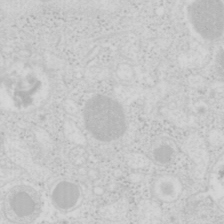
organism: Mouse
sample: Pancreas